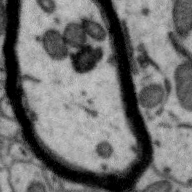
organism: Zebra finch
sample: Brain